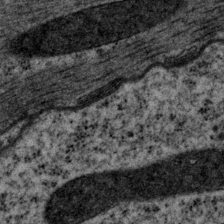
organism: P. pacificus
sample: Pharynx